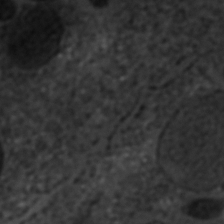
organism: C. elegans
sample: C. elegans embryo